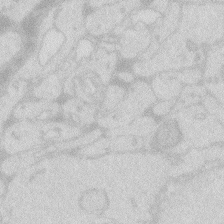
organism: Zebrafish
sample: Macrophage